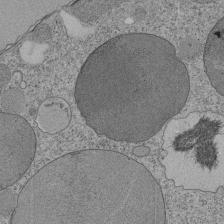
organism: Tetrahymena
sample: Cilia in tetrahymena